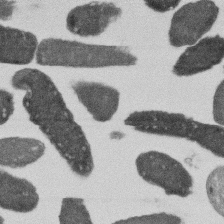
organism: E. coli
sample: Bacterial nucleoid